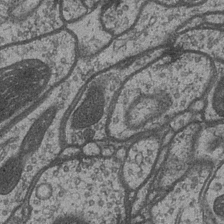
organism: Drosophila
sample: Optic medulla